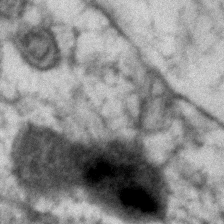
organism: Human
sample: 1205lu cells